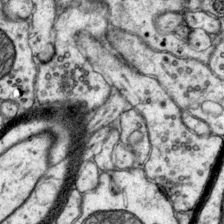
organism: Mouse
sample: Primary visual cortex